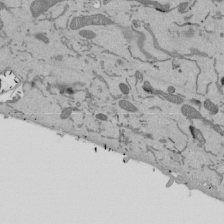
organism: Mouse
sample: ED-1 cell nuclei; centrioles